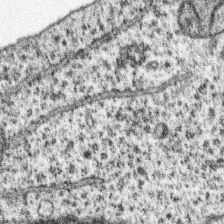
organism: Human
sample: HeLa cells